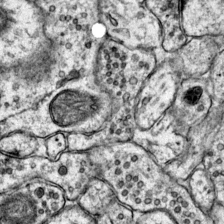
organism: Mouse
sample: Primary visual cortex